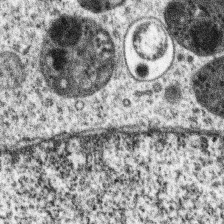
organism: Human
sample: HeLa cells